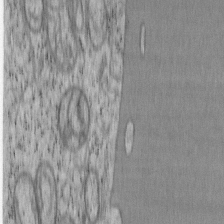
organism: Human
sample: HeLa cells